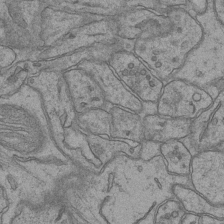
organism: Mouse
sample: CA1 Hippocampus